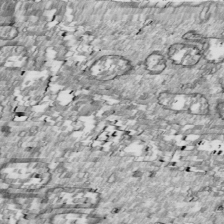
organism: Drosophila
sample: Cell division; meiosis; drosophila spermatocytes